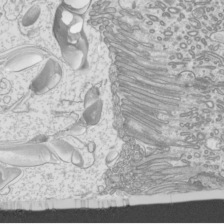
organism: Mouse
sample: Cilia; mouse epididymis